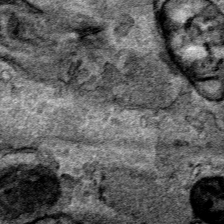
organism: Human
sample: Mitochondria in HCT116 cells